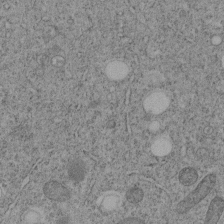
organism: C. elegans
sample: C. elegans embryo early stage